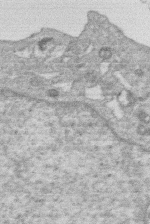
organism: Human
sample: Macrophage cells